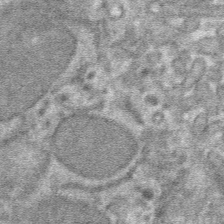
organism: Mouse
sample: Mouse hepatocytes